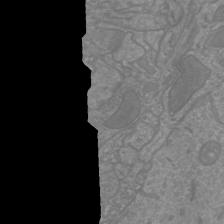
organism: Mouse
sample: Cortical neurons